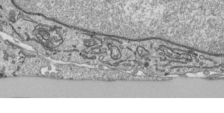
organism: Human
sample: Mitochondria in HCT116 cells